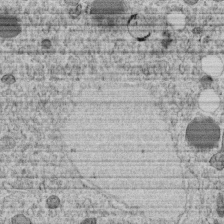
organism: C. elegans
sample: C. elegans embryo early stage